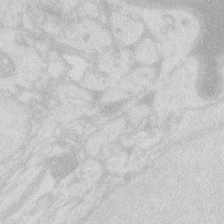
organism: Zebrafish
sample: Macrophage